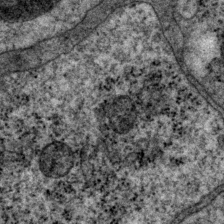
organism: P. pacificus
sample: Pharynx